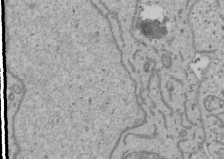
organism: Human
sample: Mitochondria in U2OS cells